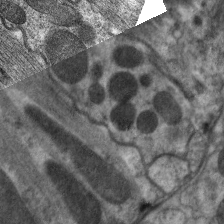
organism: C. elegans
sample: Pharynx